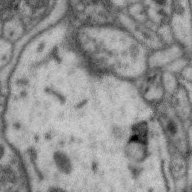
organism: Zebra finch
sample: Brain